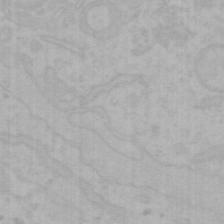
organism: Mouse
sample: Choroid plexus